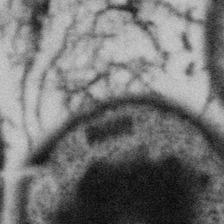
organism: Gemmata obscuriglobus